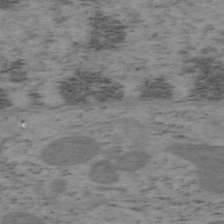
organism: Mouse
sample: OT-I killer T cells with ID8 ovarian cancer cells